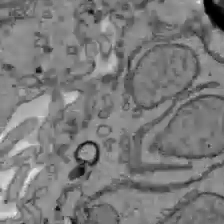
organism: C57BL Mouse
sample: Liver